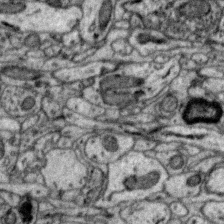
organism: Zebra finch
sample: Brain